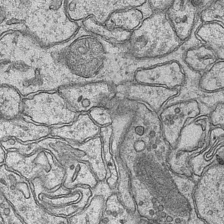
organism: Mouse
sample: CA1 Hippocampus